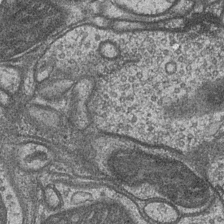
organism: Drosophila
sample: Optic medulla